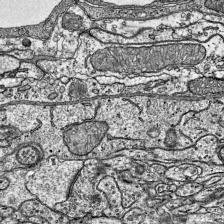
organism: Mouse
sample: Visual Cortex